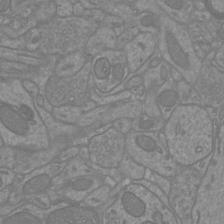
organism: Mouse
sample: Cortical neurons